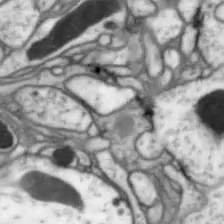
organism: Drosophila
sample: Optic lobe